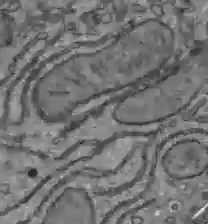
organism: C57BL Mouse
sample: Liver